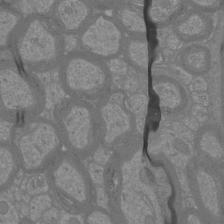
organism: Mouse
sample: Cortical neurons